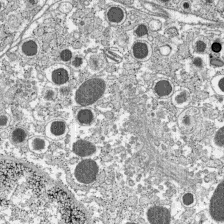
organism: C57BL Mouse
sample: Pancreatic islet